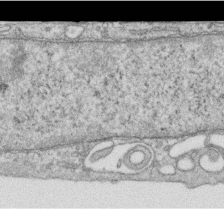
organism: Human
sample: Centriole in RPE cells